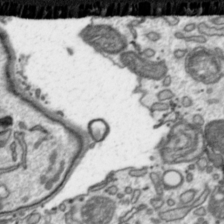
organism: Toxoplasma gondii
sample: Parasites in a vacuole inside a host cell